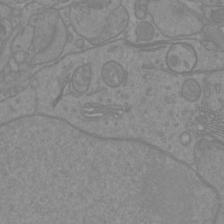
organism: Mouse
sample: Cortical neurons